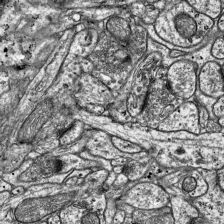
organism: Mouse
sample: Visual Cortex